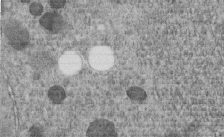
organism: C. elegans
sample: C. elegans embryo early stage